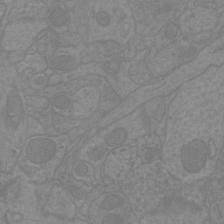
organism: Mouse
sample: Cortical neurons